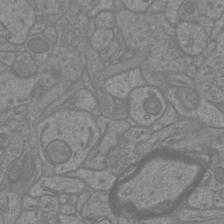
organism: Mouse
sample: Cortical neurons